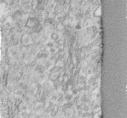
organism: Human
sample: Centriole in fibroblast cells